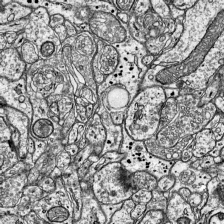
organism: Mouse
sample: Visual Cortex